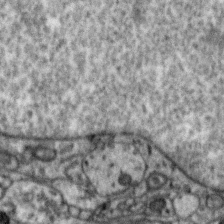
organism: Zebra finch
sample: Brain